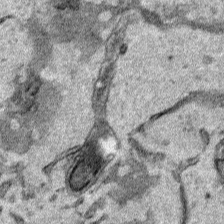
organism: Human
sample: Mitochondria in HCT116 cells